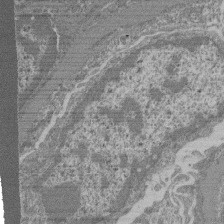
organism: Mouse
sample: Glomerulus